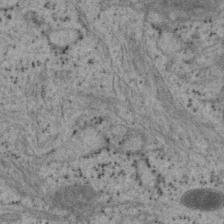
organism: Human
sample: HeLa cells